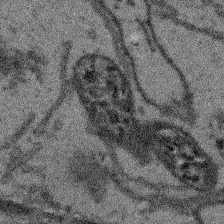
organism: Arabidopsis thaliana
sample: Root tip